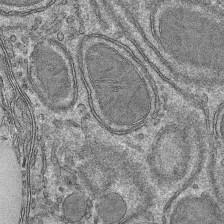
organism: Mouse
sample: Mouse hepatocytes